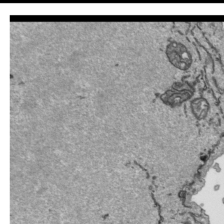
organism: Human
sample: Mitochondria in HCT116 cells